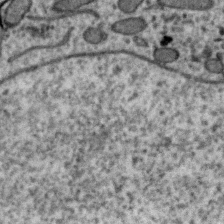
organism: Zebra finch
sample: Brain